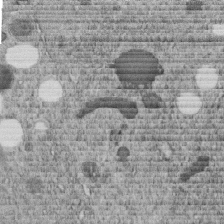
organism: C. elegans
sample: C. elegans embryo early stage